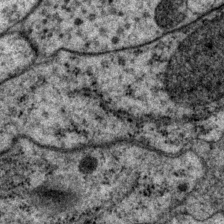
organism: P. pacificus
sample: Pharynx